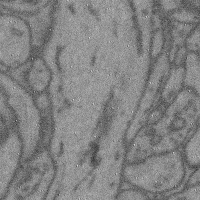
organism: Mouse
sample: Cerebral cortex